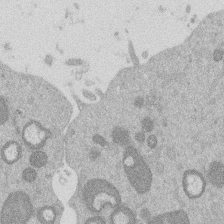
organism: Mouse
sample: Dividing mouse embryo 1 cell stage